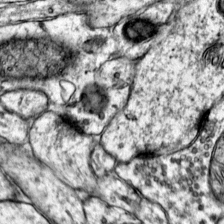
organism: Mouse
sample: Primary visual cortex